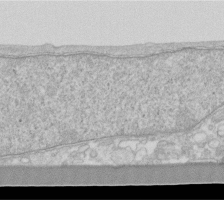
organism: Human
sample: Fibroblast cells